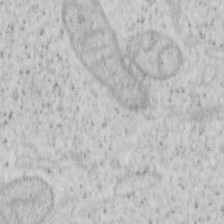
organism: Human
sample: HeLa cells